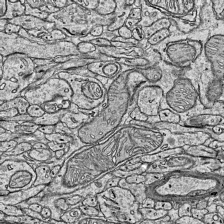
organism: Mouse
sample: Visual Cortex